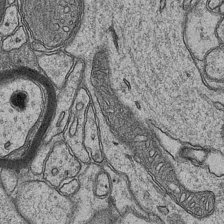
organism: Mouse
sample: CA1 Hippocampus